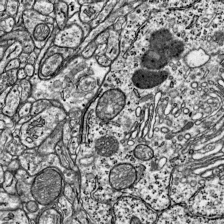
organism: Mouse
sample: Visual Cortex